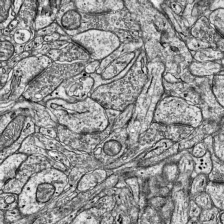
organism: Mouse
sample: Visual Cortex